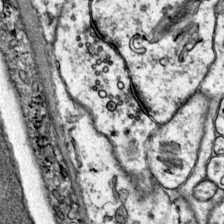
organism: Mouse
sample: Primary visual cortex